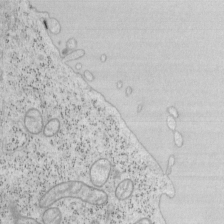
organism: Mouse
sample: OT-I killer T cells with ID8 ovarian cancer cells